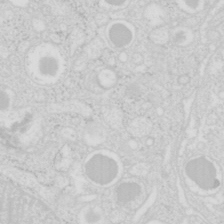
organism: Mouse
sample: Pancreas